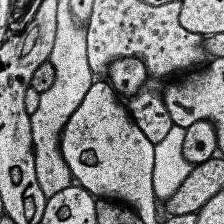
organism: Human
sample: Temporal Lobe